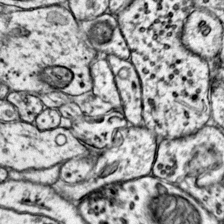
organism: Mouse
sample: Primary visual cortex